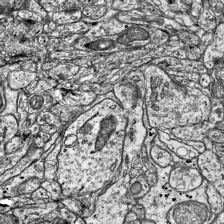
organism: Mouse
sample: Visual Cortex